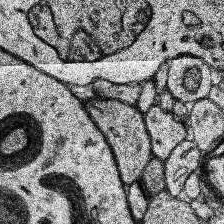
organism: Human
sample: Temporal Lobe